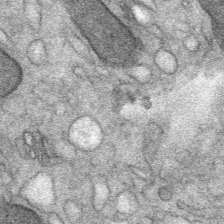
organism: Mouse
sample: Mouse Salivary gland